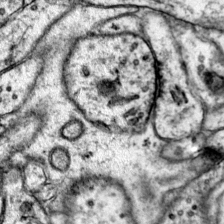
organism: Mouse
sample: Primary visual cortex